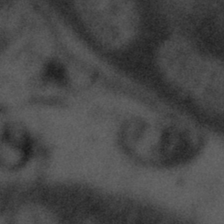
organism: Tuwongella immobilis